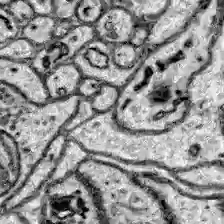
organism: Zebrafish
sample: Brain